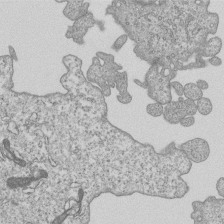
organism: Human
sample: MDA-MB-231 cells